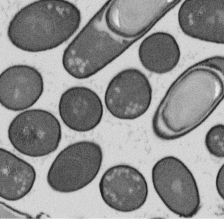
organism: B. subtilis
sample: Bacterial spore